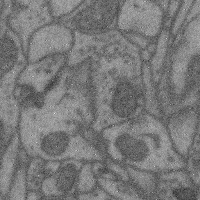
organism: Mouse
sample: Cerebral cortex